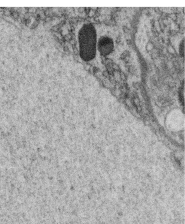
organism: C. elegans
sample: C. elegans oocyte; sperm cells